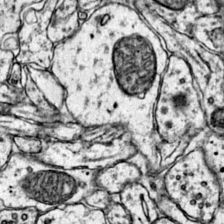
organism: Mouse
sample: Primary visual cortex